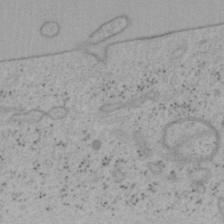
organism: Human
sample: HeLa cells